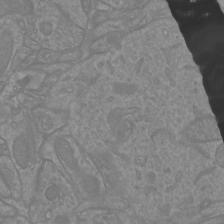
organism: Mouse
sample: Cortical neurons